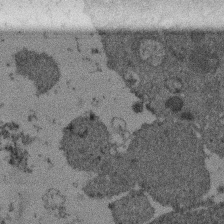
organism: Mouse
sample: Dividing mouse embryo 1 cell stage